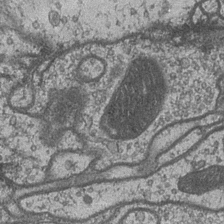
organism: Drosophila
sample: Optic medulla